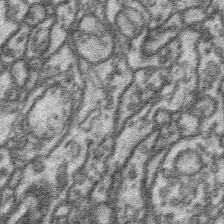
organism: Platynereis dumerilii